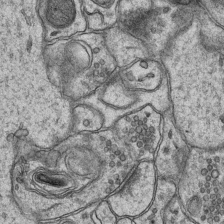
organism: Mouse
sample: CA1 Hippocampus